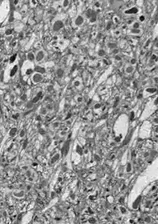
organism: Drosophila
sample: Optic lobe